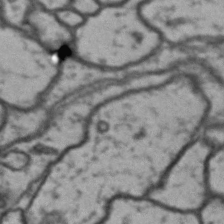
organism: Drosophila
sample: Brain